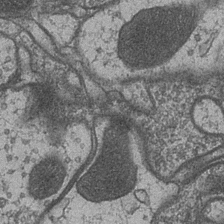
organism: Drosophila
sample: Optic medulla